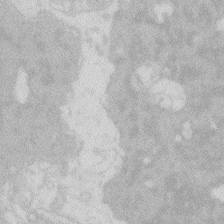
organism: Zebrafish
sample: Macrophage